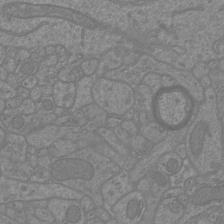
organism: Mouse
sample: Cortical neurons